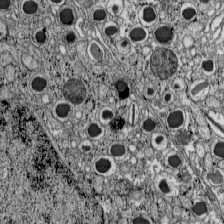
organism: C57BL Mouse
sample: Pancreatic islet